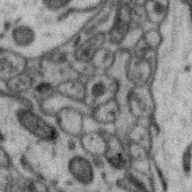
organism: Zebra finch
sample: Brain